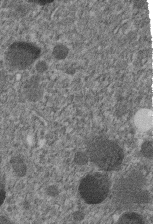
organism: C. elegans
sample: C. elegans embryo early stage